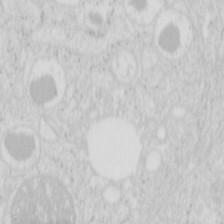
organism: Mouse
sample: Pancreas